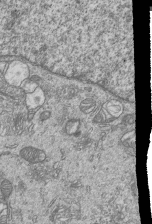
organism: Human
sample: MDA-MB-231 cells